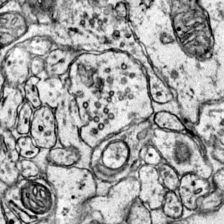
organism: Mouse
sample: Primary visual cortex